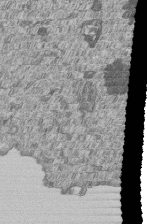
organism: Human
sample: MDA-MB-231 cells